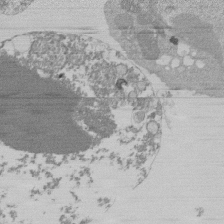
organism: Mouse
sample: Activated Pmel transgenic CD8+ T Cells